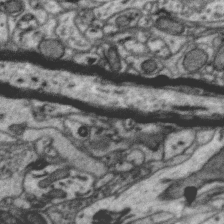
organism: Zebra finch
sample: Brain